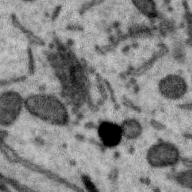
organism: Zebra finch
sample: Brain